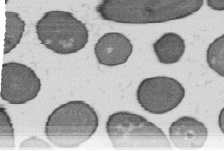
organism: B. subtilis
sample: Bacterial spore